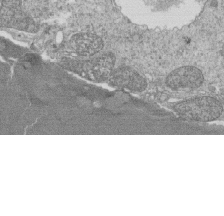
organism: Tetrahymena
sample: Cilia in tetrahymena